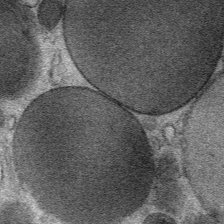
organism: Mouse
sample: Mouse Salivary gland